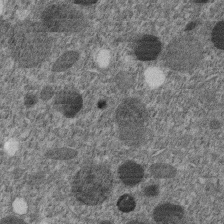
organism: C. elegans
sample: C. elegans embryo early stage